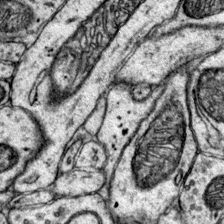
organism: Mouse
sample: Primary visual cortex